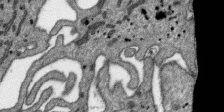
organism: Human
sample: Lung epithelial cells, uninfected (mock) control